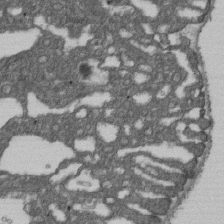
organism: Drosophila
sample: Nephrocyte